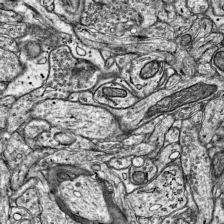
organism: Mouse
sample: Visual Cortex